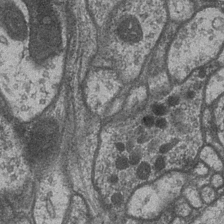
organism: Drosophila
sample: Optic medulla